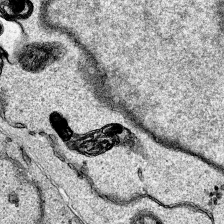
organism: Human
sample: Mitochondria in HCT116 cells